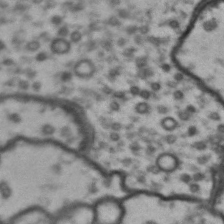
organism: Drosophila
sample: Brain